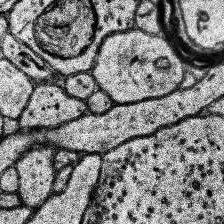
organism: Human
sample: Temporal Lobe